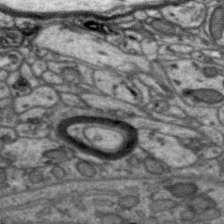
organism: Zebra finch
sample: Brain